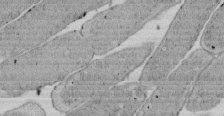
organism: E. coli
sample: Bacterial nucleoid